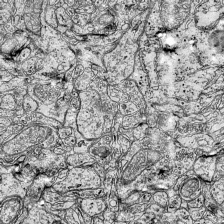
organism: Mouse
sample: Visual Cortex